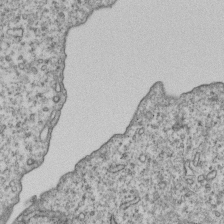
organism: Human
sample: MDA-MB-231 cells